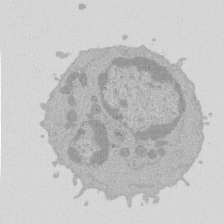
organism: Mouse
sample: Activated Pmel transgenic CD8+ T Cells